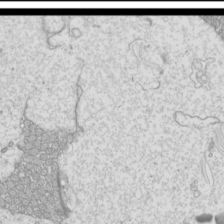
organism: Mouse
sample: Cilia; mouse epididymis